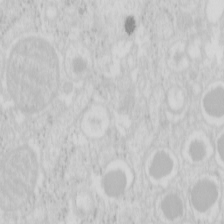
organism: Mouse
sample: Pancreas